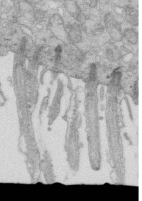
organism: Mouse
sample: Multiciliated cells